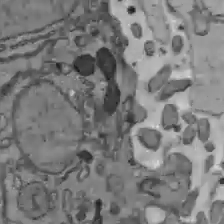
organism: C57BL Mouse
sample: Liver